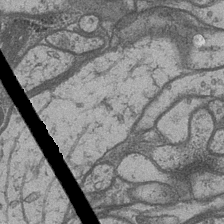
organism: Drosophila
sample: Optic medulla